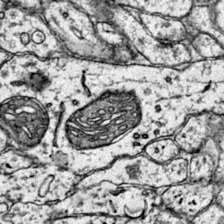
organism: Mouse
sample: Primary visual cortex